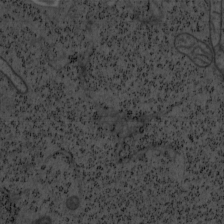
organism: Mouse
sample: OT-I killer T cells with ID8 ovarian cancer cells